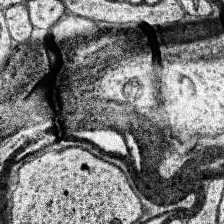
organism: Human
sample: Temporal Lobe